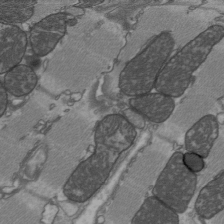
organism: C57BL Mouse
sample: Heart